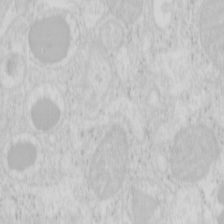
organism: Mouse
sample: Pancreas